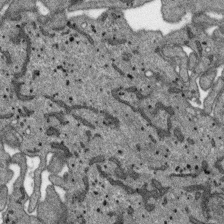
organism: Human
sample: Lung epithelial cells, uninfected (mock) control